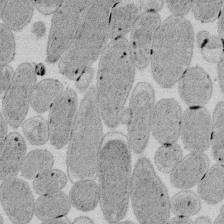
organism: E. coli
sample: Bacterial nucleoid